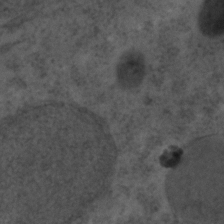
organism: C. elegans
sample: C. elegans embryo